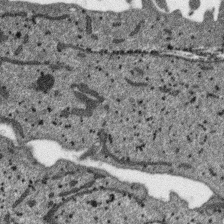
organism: Human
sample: Lung epithelial cells infected with SARS-CoV-2